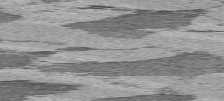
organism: C57BL Mouse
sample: Heart